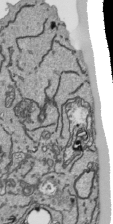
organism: Human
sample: Mitochondria in HCT116 cells